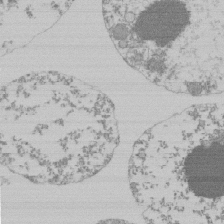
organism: Mouse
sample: Activated Pmel transgenic CD8+ T Cells